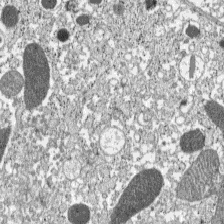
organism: C57BL Mouse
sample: Pancreatic islet